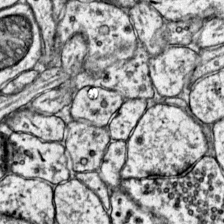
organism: Mouse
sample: Primary visual cortex